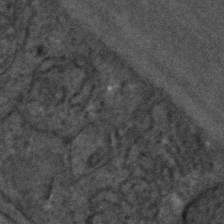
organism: C. elegans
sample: C. elegans embryo